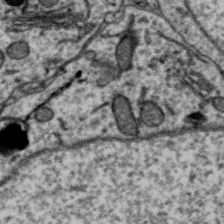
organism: Zebra finch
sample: Brain